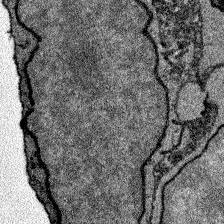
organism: Zebrafish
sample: Larval olfactory bulb